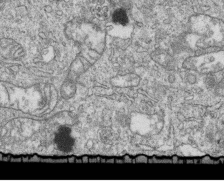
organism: Human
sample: HeLa cell HIV synapse